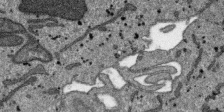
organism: Human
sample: Lung epithelial cells, uninfected (mock) control